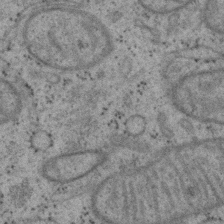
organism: Human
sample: HeLa cells